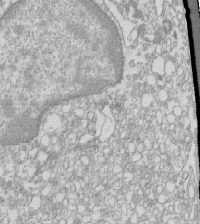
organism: Mouse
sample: Macrophages